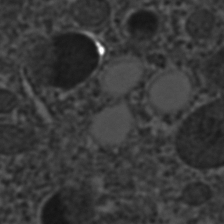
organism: C. elegans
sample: C. elegans embryo